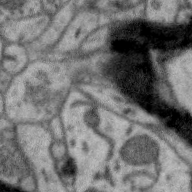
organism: Zebra finch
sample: Brain